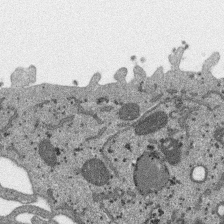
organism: Human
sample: Lung epithelial cells infected with SARS-CoV-2